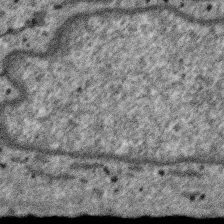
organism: Human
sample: Lung epithelial cells infected with SARS-CoV-2